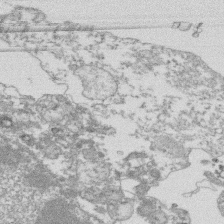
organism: Human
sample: HeLa cell HIV synapse